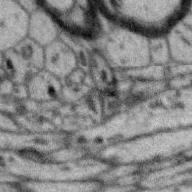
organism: Zebra finch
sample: Brain